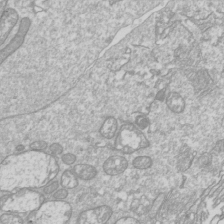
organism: Drosophila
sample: Cell division; meiosis; drosophila spermatocytes